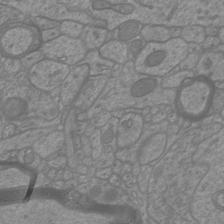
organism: Mouse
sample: Cortical neurons